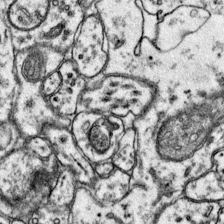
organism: Mouse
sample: Primary visual cortex